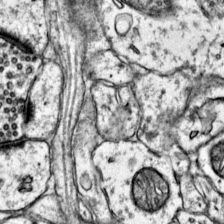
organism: Mouse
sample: Primary visual cortex